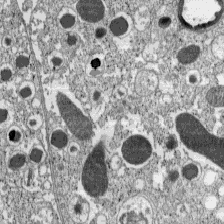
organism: C57BL Mouse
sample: Pancreatic islet